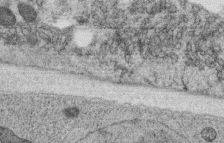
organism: C. elegans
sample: C. elegans oocyte; sperm cells